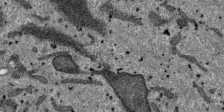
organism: Human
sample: Lung epithelial cells, uninfected (mock) control